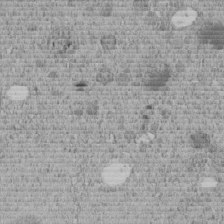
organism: C. elegans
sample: C. elegans embryo early stage